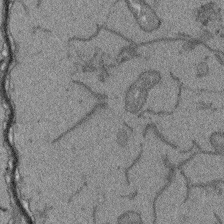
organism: Arabidopsis thaliana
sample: Root tip